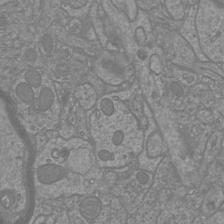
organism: Mouse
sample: Cortical neurons